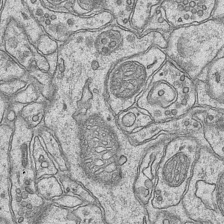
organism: Mouse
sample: CA1 Hippocampus